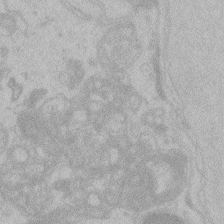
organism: Zebrafish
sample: Macrophage infected with Toxoplasma gondii